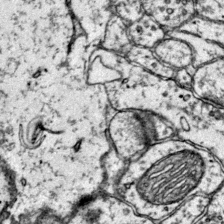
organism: Mouse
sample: Primary visual cortex